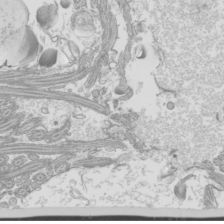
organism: Mouse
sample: Cilia; mouse epididymis